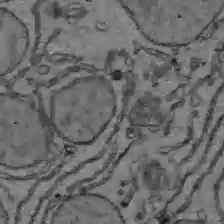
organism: C57BL Mouse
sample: Liver